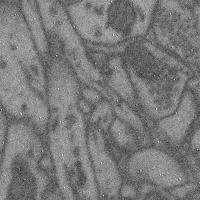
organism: Mouse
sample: Cerebral cortex